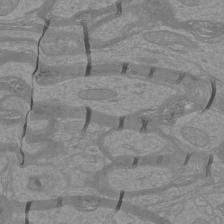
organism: Mouse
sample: Cortical neurons